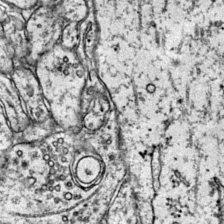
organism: Mouse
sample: Primary visual cortex